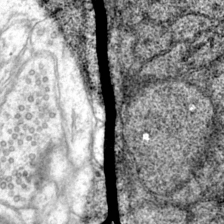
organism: Mouse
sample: Primary visual cortex